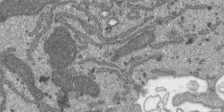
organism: Human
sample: Lung epithelial cells infected with SARS-CoV-2